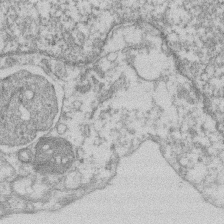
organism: Mouse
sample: T cell stromal cell synapse